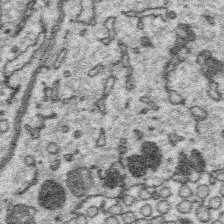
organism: Platynereis dumerilii